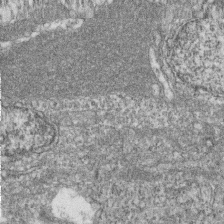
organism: Zebrafish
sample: Cilia; retinal pigment epithelium